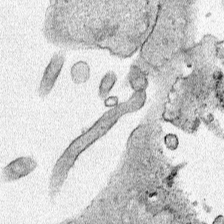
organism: Human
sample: Mitochondria in HCT116 cells